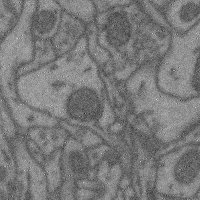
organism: Mouse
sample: Cerebral cortex